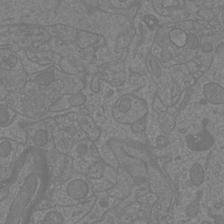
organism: Mouse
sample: Cortical neurons